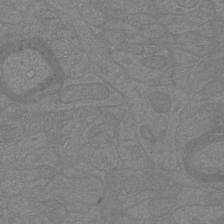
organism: Mouse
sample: Cortical neurons